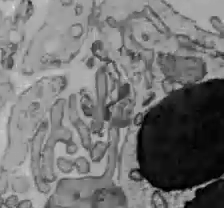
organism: C57BL Mouse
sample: Liver